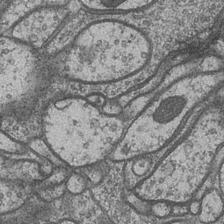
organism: Drosophila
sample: Optic medulla